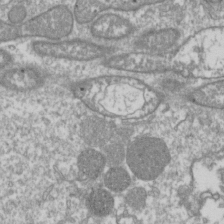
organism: Drosophila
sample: Cell division; meiosis; drosophila spermatocytes